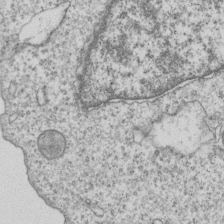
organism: Human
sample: MDA-MB-231 cells